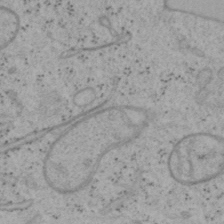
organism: Human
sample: HeLa cells